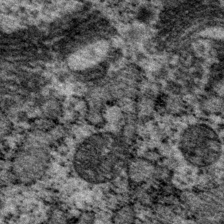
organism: P. pacificus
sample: Pharynx